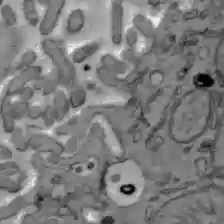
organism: C57BL Mouse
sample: Liver